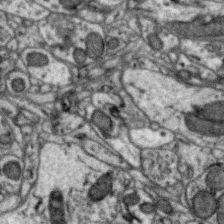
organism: Zebra finch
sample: Brain